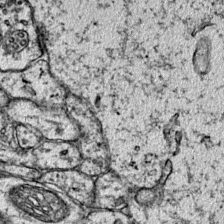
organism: Mouse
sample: Primary visual cortex